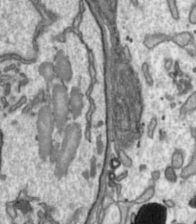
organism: Toxoplasma gondii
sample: Parasites in a vacuole inside a host cell